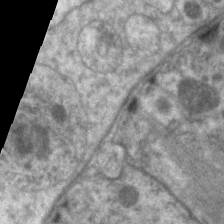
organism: C. elegans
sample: Pharynx